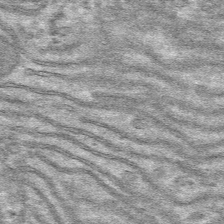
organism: Mouse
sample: Mouse hepatocytes